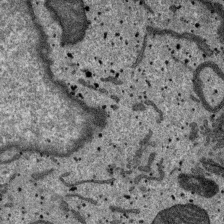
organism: Human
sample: Lung epithelial cells, uninfected (mock) control